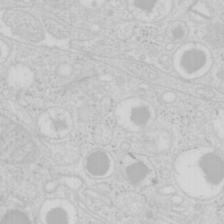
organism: Mouse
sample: Pancreas